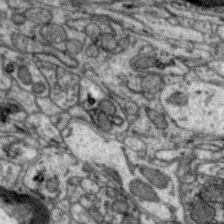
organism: Zebra finch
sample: Brain